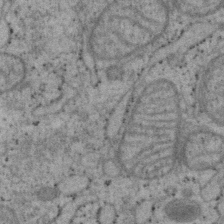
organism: Human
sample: HeLa cells